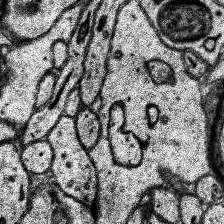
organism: Human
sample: Temporal Lobe